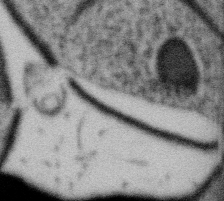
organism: Gemmata obscuriglobus